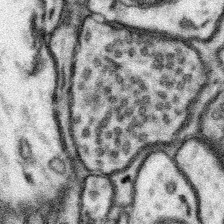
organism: Mouse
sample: Somatosensory cortex neuropil